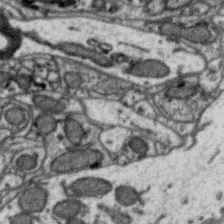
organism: Zebra finch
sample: Brain